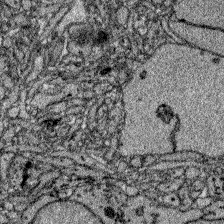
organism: Zebrafish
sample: Larval olfactory bulb